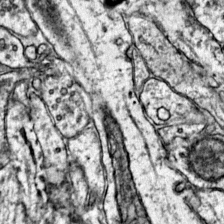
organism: Mouse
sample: Primary visual cortex